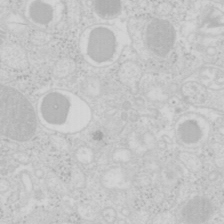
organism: Mouse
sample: Pancreas